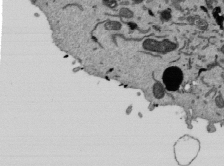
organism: Mouse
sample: ED-1 cell nuclei; centrioles